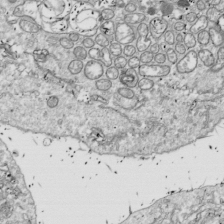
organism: Drosophila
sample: Cell division; meiosis; drosophila spermatocytes